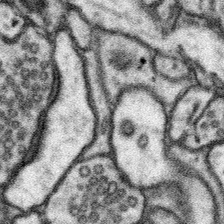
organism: Mouse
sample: Somatosensory cortex neuropil